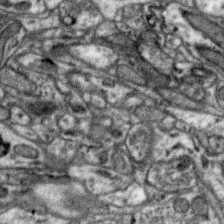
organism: Zebra finch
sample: Brain